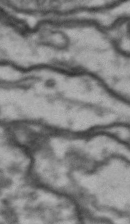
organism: Drosophila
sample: Brain